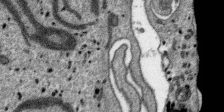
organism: Human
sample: Lung epithelial cells, uninfected (mock) control